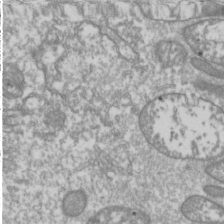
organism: Drosophila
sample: Cell division; meiosis; drosophila spermatocytes